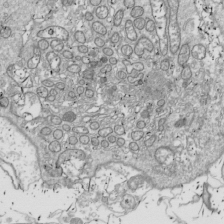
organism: Drosophila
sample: Cell division; meiosis; drosophila spermatocytes